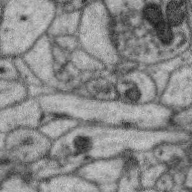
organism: Zebra finch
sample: Brain